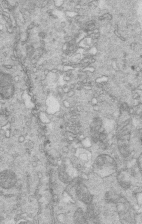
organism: Mouse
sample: Multiciliated cells